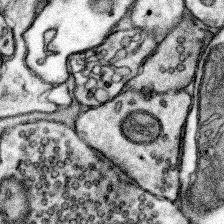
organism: Mouse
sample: Somatosensory cortex neuropil